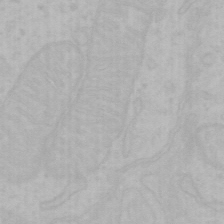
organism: Mouse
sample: Choroid plexus